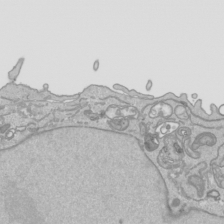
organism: Human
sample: Mitochondria in HCT116 cells